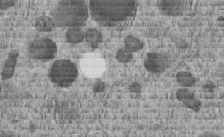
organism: C. elegans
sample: C. elegans embryo early stage